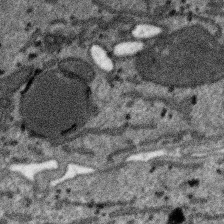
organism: Human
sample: Lung epithelial cells infected with SARS-CoV-2